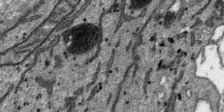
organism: Human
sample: Lung epithelial cells, uninfected (mock) control